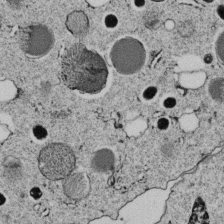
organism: C. elegans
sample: C. elegans embryo early stage